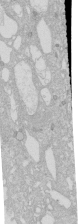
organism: Human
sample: Caco-2 cells